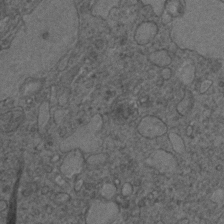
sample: Trachea